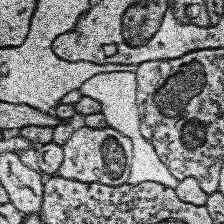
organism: Human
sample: Temporal Lobe